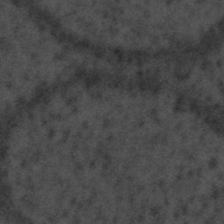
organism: Tuwongella immobilis